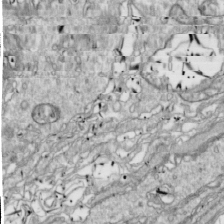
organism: Drosophila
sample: Cell division; meiosis; drosophila spermatocytes